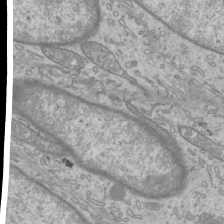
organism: Mouse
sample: Cilia; mouse epididymis